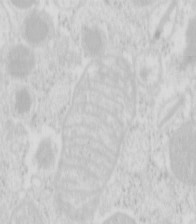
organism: Mouse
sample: Pancreas